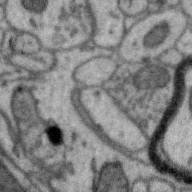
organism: Zebra finch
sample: Brain